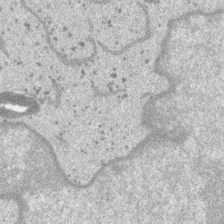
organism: Human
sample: Lung epithelial cells infected with SARS-CoV-2